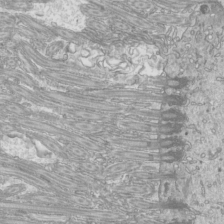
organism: Mouse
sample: Cilia; mouse epididymis